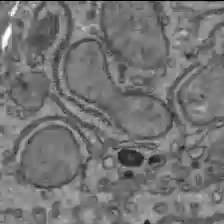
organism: C57BL Mouse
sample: Liver